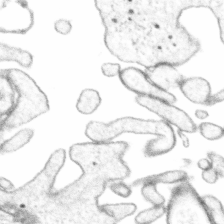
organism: Human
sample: HeLa cells